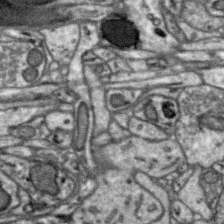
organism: Zebra finch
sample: Brain